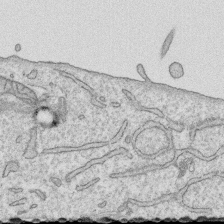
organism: Human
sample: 1205lu cells